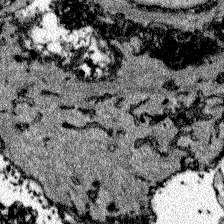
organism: Zebrafish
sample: Larval olfactory bulb